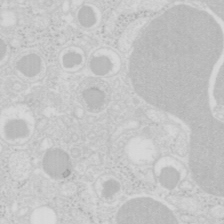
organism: Mouse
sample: Pancreas